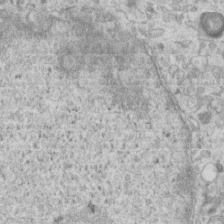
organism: Mouse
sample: Centriole in ependymal cells